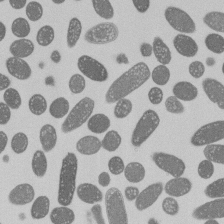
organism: E. coli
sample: Bacterial nucleoid